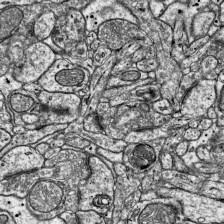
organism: Mouse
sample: Visual Cortex